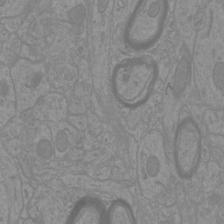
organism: Mouse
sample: Cortical neurons